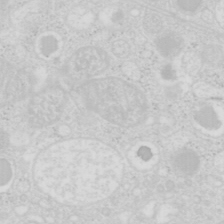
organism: Mouse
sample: Pancreas